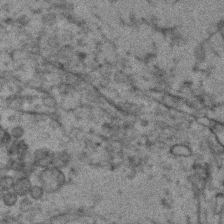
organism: Human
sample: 1205lu cells